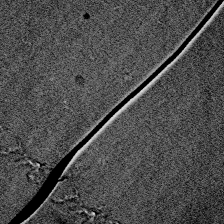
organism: Zebrafish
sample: Whole-Brain